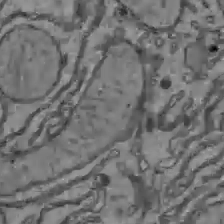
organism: C57BL Mouse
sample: Liver